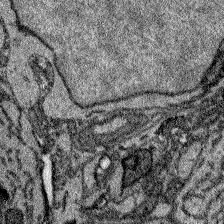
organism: Zebrafish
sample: Larval olfactory bulb